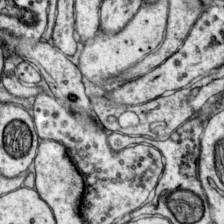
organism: Mouse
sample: Primary visual cortex